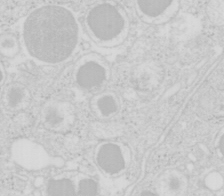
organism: Mouse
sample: Pancreas